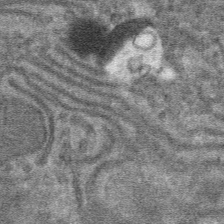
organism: Mouse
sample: Mouse hepatocytes